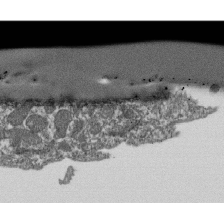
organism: Dictyostelium discoideum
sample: Dictyostelium multivesicular bodies